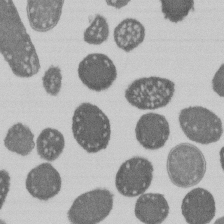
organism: E. coli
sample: Bacterial nucleoid